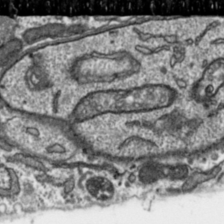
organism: Toxoplasma gondii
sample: Parasites in a vacuole inside a host cell